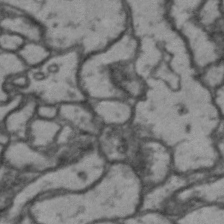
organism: Drosophila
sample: Brain